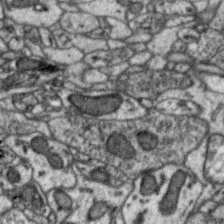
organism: Zebra finch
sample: Brain